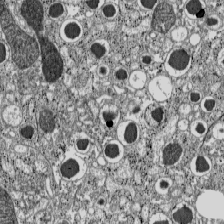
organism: C57BL Mouse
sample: Pancreatic islet